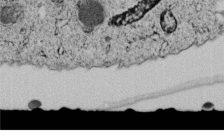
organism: C. elegans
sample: C. elegans embryo early stage